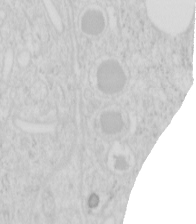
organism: Mouse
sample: Pancreas